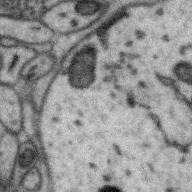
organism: Zebra finch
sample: Brain